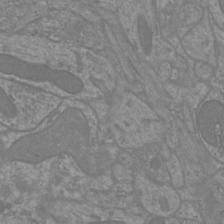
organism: Mouse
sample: Cortical neurons